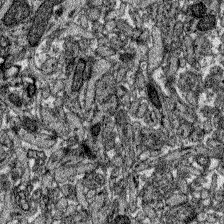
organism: Zebrafish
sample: Larval olfactory bulb